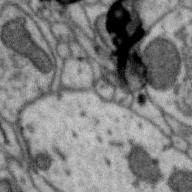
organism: Zebra finch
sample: Brain